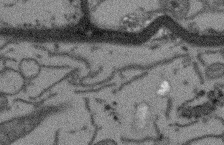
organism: Arabidopsis thaliana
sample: Root tip